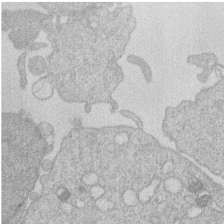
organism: Human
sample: Macrophage cells